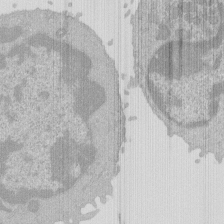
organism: Mouse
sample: Activated Pmel transgenic CD8+ T Cells